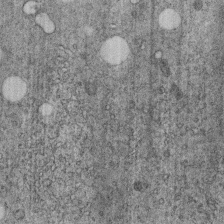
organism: C. elegans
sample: C. elegans embryo early stage